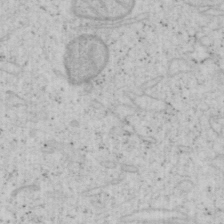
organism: Human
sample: HeLa cells